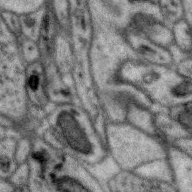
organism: Zebra finch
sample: Brain